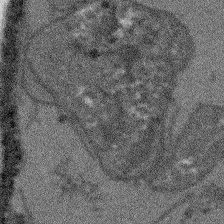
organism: Arabidopsis thaliana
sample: Root tip